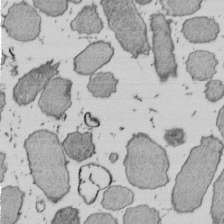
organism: E. coli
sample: Bacterial nucleoid